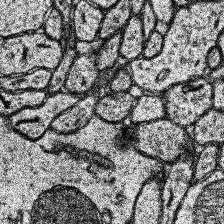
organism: Human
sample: Temporal Lobe